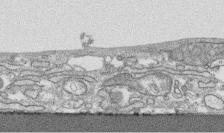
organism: Human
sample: CRL-1474